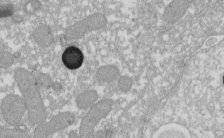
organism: Xenopus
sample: Cilia; centrioles in frog embryo cells